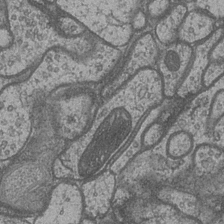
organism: Drosophila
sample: Optic medulla